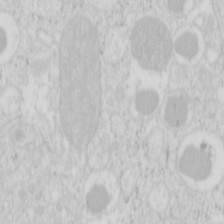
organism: Mouse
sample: Pancreas